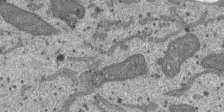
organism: Human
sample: Lung epithelial cells infected with SARS-CoV-2